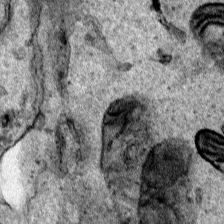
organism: Human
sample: Mitochondria in HCT116 cells